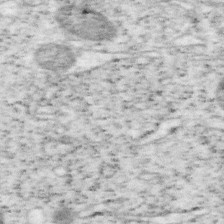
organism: Mouse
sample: OT-I killer T cells with ID8 ovarian cancer cells